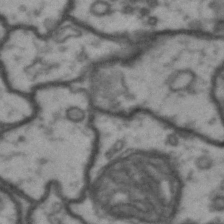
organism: Drosophila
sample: Brain